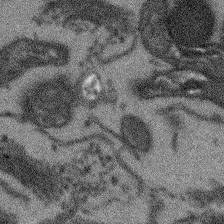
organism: Arabidopsis thaliana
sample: Root tip